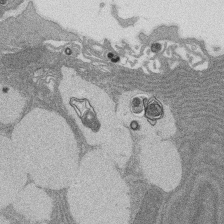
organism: Rat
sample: Salivary granule